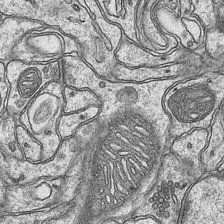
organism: Mouse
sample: CA1 Hippocampus